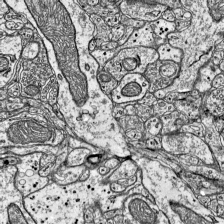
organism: Mouse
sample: Visual Cortex